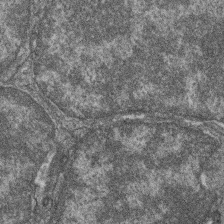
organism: Zebrafish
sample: Cilia; retinal pigment epithelium